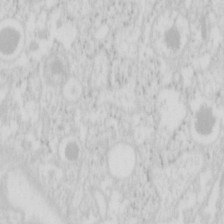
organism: Mouse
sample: Pancreas